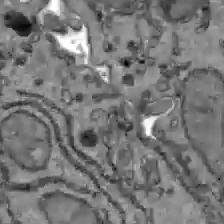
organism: C57BL Mouse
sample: Liver